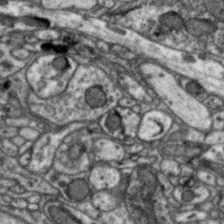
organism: Zebra finch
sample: Brain